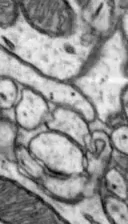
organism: Mouse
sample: Nucleus accumbens